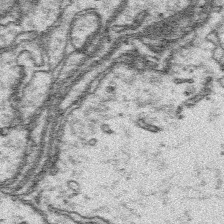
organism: Platynereis dumerilii